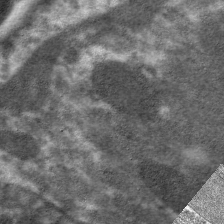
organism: C. elegans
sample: Pharynx